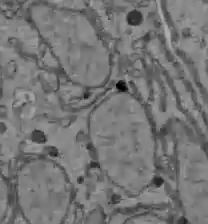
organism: C57BL Mouse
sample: Liver